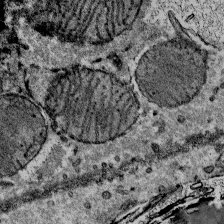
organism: Mouse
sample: Mouse Salivary gland